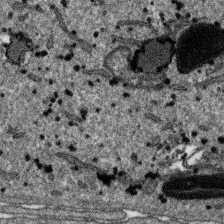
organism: Human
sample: Lung epithelial cells infected with SARS-CoV-2